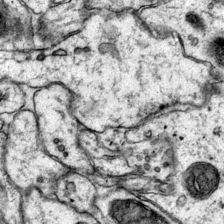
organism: Mouse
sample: Primary visual cortex